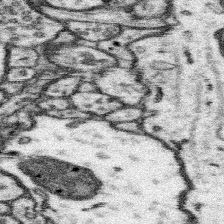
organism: Mouse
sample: Somatosensory cortex neuropil